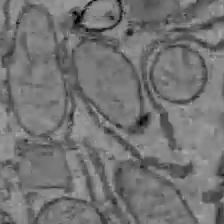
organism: C57BL Mouse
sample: Liver